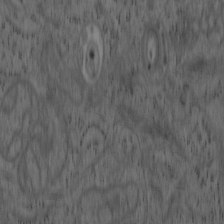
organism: Human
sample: HeLa cells